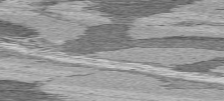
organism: C57BL Mouse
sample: Heart